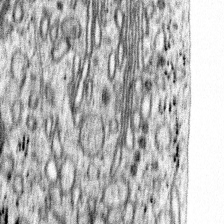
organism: Human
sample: HeLa cells